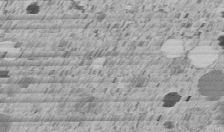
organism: C. elegans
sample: C. elegans embryo early stage